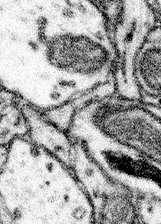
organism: Mouse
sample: Somatosensory cortex neuropil